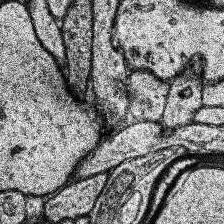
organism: Human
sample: Temporal Lobe